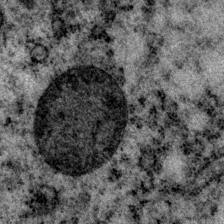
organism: P. pacificus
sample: Pharynx